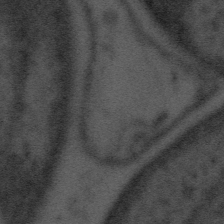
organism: Tuwongella immobilis